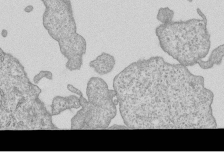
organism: Human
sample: MDA-MB-231 cells